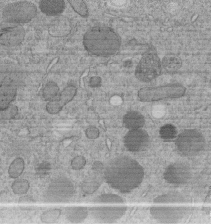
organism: C. elegans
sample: C. elegans embryo early stage